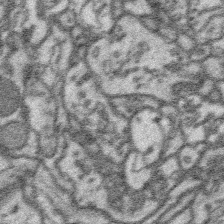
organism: Platynereis dumerilii